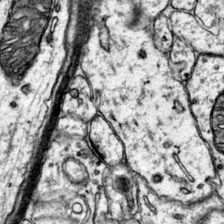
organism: Mouse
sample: Primary visual cortex